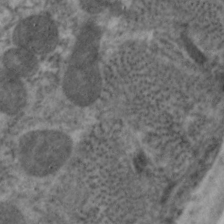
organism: C. elegans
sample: Pharynx